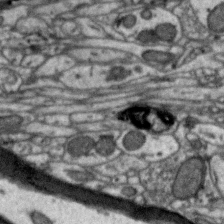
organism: Zebra finch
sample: Brain